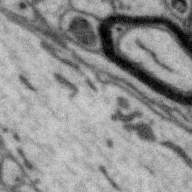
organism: Zebra finch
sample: Brain